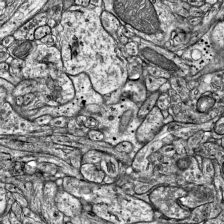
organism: Mouse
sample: Visual Cortex